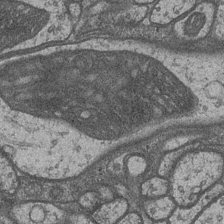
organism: Drosophila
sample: Optic medulla